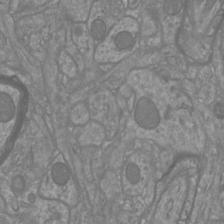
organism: Mouse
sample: Cortical neurons